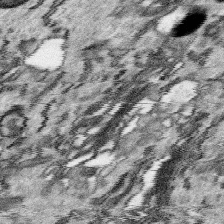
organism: Human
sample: HeLa cells